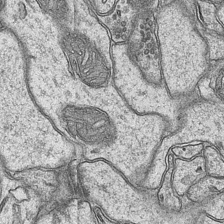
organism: Mouse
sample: CA1 Hippocampus